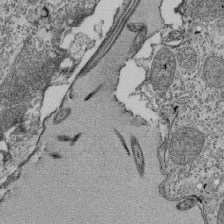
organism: Tetrahymena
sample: Cilia in tetrahymena